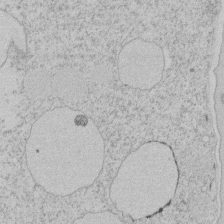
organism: Tetrahymena